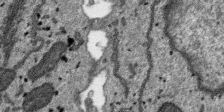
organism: Human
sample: Lung epithelial cells, uninfected (mock) control